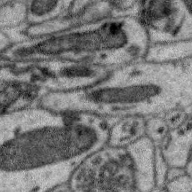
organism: Zebra finch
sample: Brain